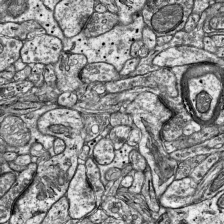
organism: Mouse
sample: Visual Cortex